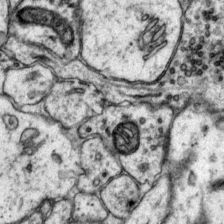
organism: Mouse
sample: Primary visual cortex